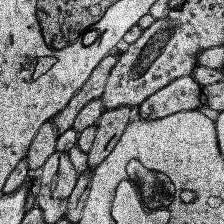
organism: Human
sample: Temporal Lobe